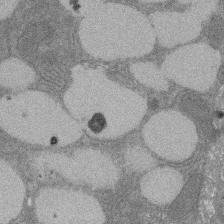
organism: Rat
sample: Salivary granule